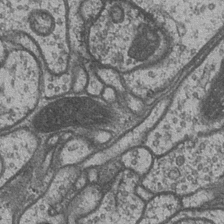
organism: Drosophila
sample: Optic medulla